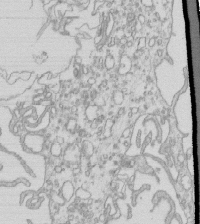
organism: Mouse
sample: Macrophages